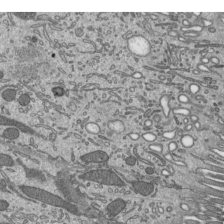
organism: Mouse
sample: Mouse epididymis efferent ductule cilia